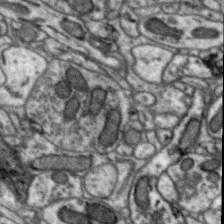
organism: Zebra finch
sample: Brain